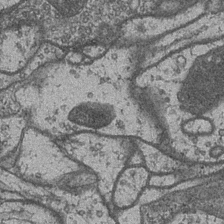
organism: Drosophila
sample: Optic medulla